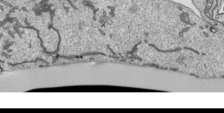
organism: Human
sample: Mitochondria in HCT116 cells